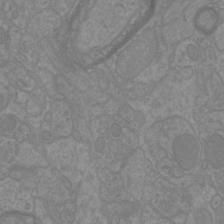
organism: Mouse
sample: Cortical neurons